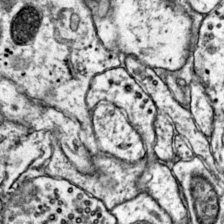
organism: Mouse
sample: Primary visual cortex